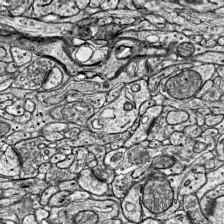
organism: Mouse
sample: Visual Cortex